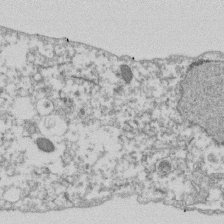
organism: Dictyostelium discoideum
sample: Dictyostelium multivesicular bodies